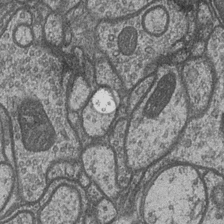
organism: Drosophila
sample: Optic medulla